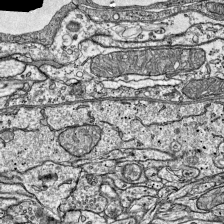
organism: Mouse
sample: Visual Cortex